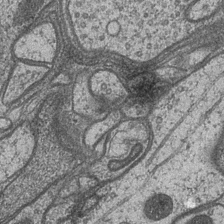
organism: Drosophila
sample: Optic medulla